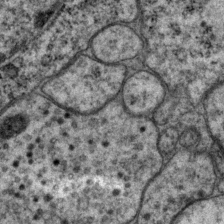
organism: P. pacificus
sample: Pharynx